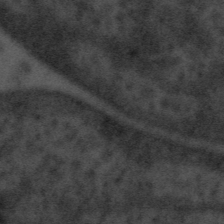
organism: Tuwongella immobilis